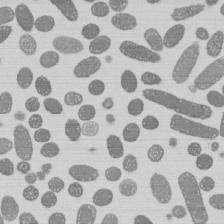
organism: E. coli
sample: Bacterial nucleoid